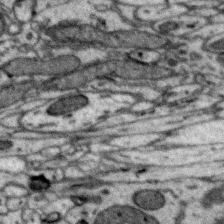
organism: Zebra finch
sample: Brain